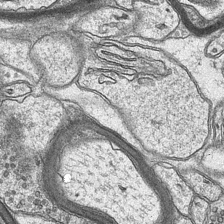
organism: Mouse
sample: CA1 Hippocampus